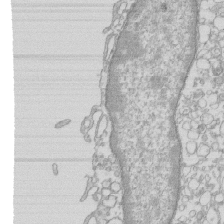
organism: Mouse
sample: Macrophages